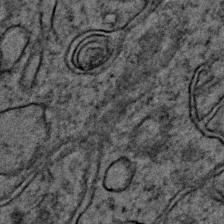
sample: Trachea